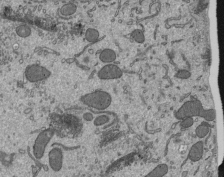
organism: Mouse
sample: Mouse epididymis efferent ductule cilia